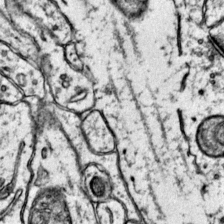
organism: Mouse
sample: Primary visual cortex